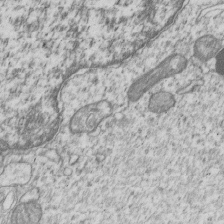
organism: Human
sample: MDA-MB-231 cells